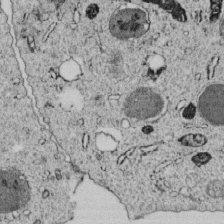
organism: C. elegans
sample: C. elegans embryo early stage